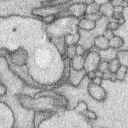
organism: Rabbit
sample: Retina